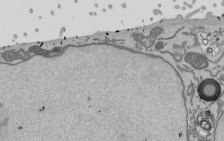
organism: Mouse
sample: ED-1 cell nuclei; centrioles